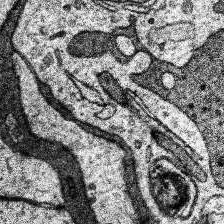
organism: Human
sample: Temporal Lobe